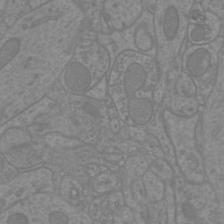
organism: Mouse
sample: Cortical neurons